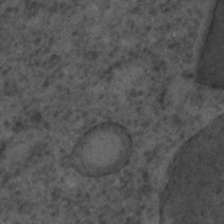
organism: C. elegans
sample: C. elegans embryo